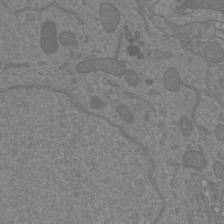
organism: Mouse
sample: Cortical neurons